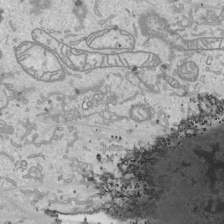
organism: Human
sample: Mitochondria in HCT116 cells